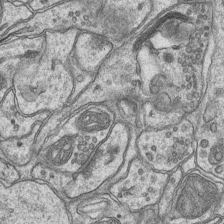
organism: Mouse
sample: CA1 Hippocampus